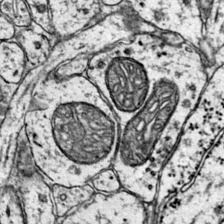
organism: Mouse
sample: Primary visual cortex